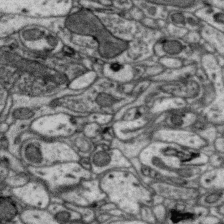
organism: Zebra finch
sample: Brain